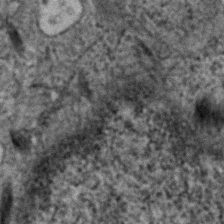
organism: Human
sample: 1205lu cells